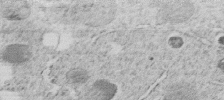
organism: C. elegans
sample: C. elegans embryo early stage